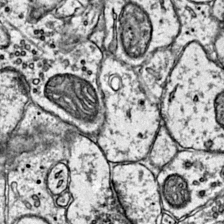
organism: Mouse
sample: Primary visual cortex